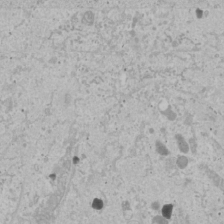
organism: Human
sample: Mitochondria in U2OS cells